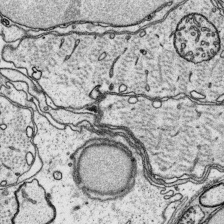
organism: Platynereis dumerilii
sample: Parapodia